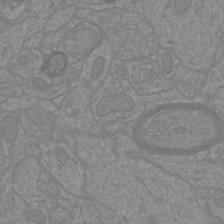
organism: Mouse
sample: Cortical neurons